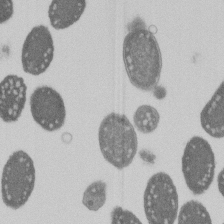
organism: E. coli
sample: Bacterial nucleoid